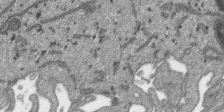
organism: Human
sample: Lung epithelial cells infected with SARS-CoV-2